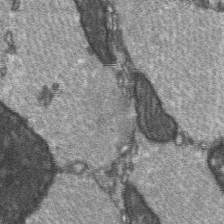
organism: C57BL Mouse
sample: Soleus